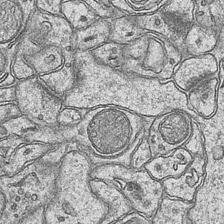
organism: Mouse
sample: CA1 Hippocampus